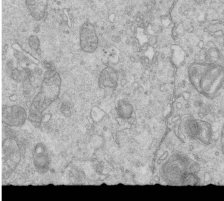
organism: Mouse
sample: Multiciliated cells